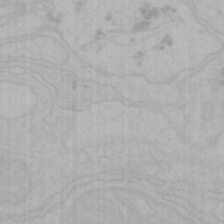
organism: Mouse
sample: Choroid plexus